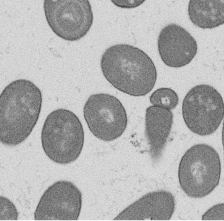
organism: B. subtilis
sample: Bacterial spore